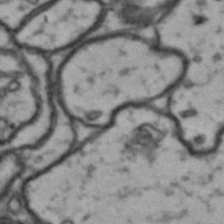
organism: Drosophila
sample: Brain